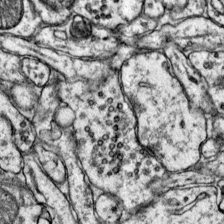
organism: Mouse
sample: Primary visual cortex